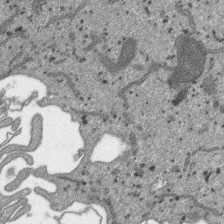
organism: Human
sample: Lung epithelial cells infected with SARS-CoV-2